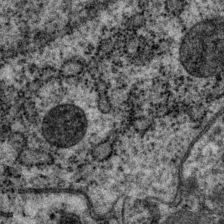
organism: P. pacificus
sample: Pharynx